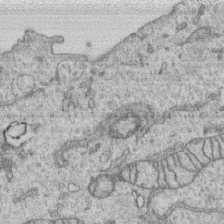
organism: Human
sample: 1205lu cells